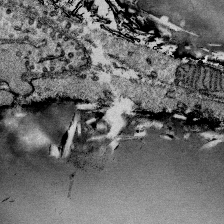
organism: Mouse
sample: Mouse Salivary gland